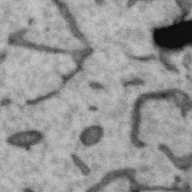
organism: Zebra finch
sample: Brain